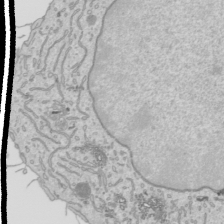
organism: Human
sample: Mitochondria in HCT116 cells